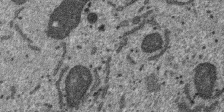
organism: Human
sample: Lung epithelial cells infected with SARS-CoV-2